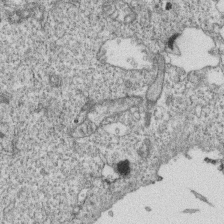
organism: Human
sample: HeLa cell HIV synapse